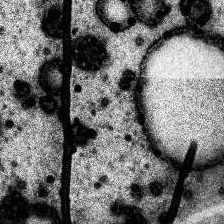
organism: Human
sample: Temporal Lobe